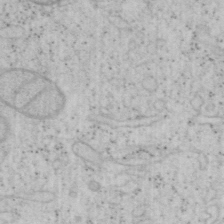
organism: Human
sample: HeLa cells